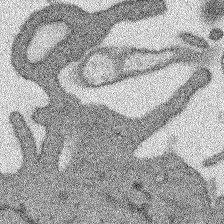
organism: Human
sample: HeLa cells